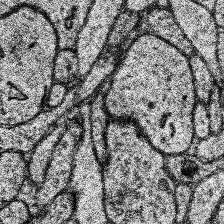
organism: Human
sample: Temporal Lobe